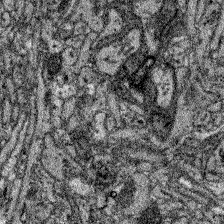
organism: Zebrafish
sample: Larval olfactory bulb